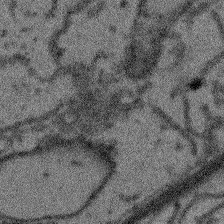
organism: Arabidopsis thaliana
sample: Root tip